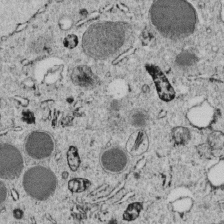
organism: C. elegans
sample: C. elegans embryo early stage